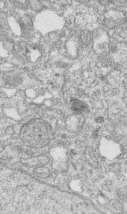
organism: Human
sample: HeLa cell HIV synapse